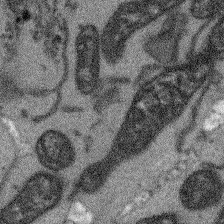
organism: Arabidopsis thaliana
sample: Root tip